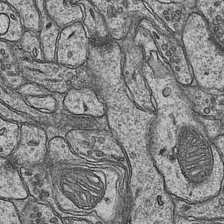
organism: Mouse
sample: CA1 Hippocampus